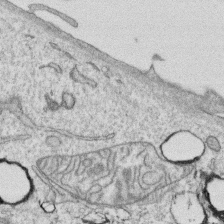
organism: Human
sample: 1205lu cells